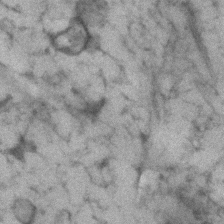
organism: Human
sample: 1205lu cells